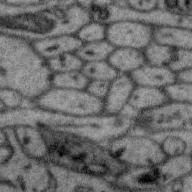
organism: Zebra finch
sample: Brain